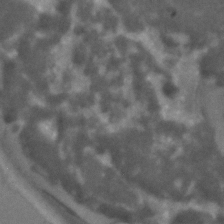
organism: C. elegans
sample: C. elegans embryo